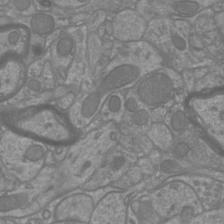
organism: Mouse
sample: Cortical neurons